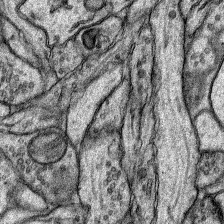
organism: Rat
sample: Hippocampus